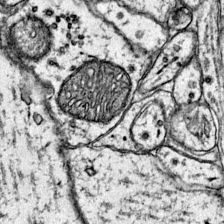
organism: Mouse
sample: Primary visual cortex